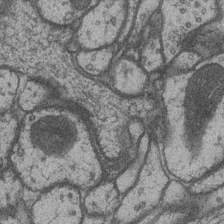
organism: Drosophila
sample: Optic medulla